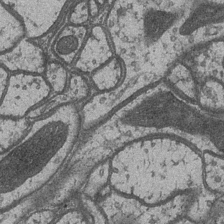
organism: Drosophila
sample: Optic medulla